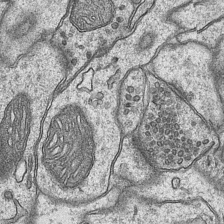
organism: Mouse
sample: CA1 Hippocampus